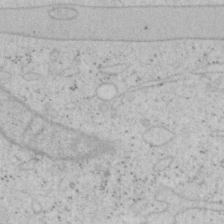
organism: Human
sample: HeLa cells